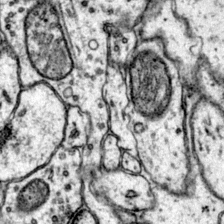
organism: Mouse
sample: Primary visual cortex